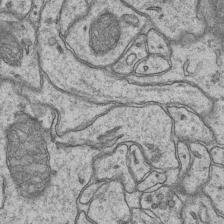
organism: Mouse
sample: CA1 Hippocampus